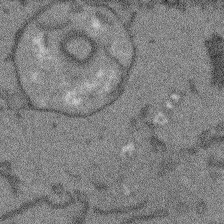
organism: Arabidopsis thaliana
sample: Root tip